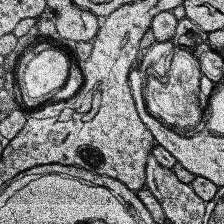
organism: Human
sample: Temporal Lobe